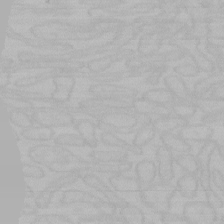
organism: Mouse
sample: Choroid plexus